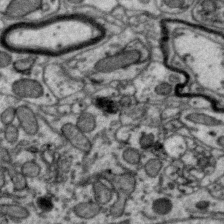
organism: Zebra finch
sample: Brain